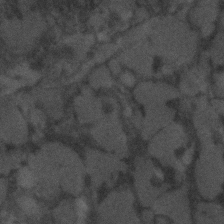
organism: C. elegans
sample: C. elegans embryo